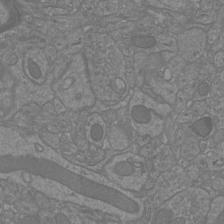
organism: Mouse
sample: Cortical neurons